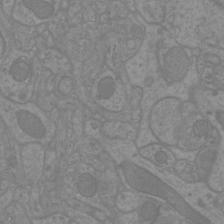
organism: Mouse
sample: Cortical neurons